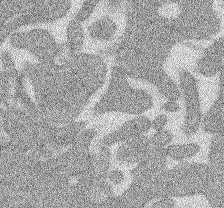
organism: Human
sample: HeLa cells